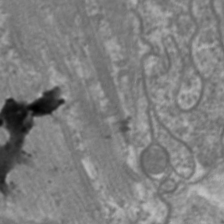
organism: C. elegans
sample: Pharynx